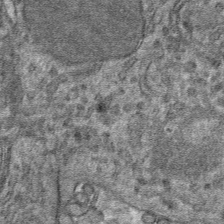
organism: Mouse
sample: Mouse hepatocytes